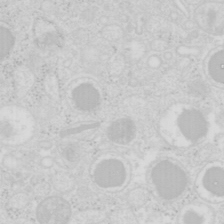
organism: Mouse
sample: Pancreas